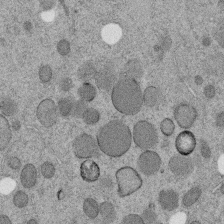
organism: C. elegans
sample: C. elegans embryo early stage